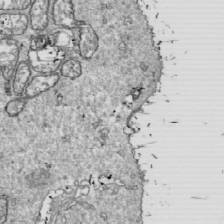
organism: Drosophila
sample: Cell division; meiosis; drosophila spermatocytes